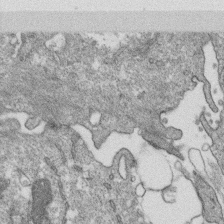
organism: African green monkey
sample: Vero E6 cells infected with SARS-CoV-2